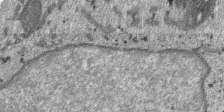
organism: Human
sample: Lung epithelial cells infected with SARS-CoV-2